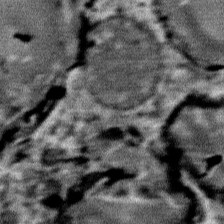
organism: Mouse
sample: Mouse Salivary gland